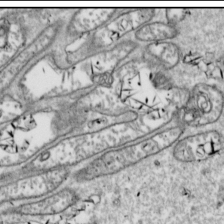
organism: Drosophila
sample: Cell division; meiosis; drosophila spermatocytes